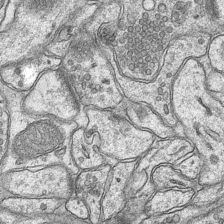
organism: Mouse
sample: CA1 Hippocampus